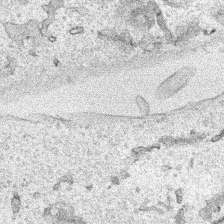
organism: Human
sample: Mitochondria in HCT116 cells